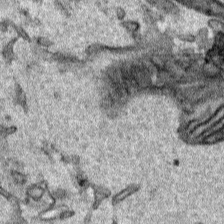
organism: Human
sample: Mitochondria in HCT116 cells